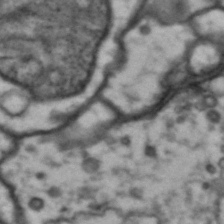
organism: Drosophila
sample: Brain